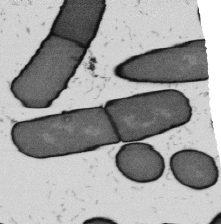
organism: B. subtilis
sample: Bacterial spore